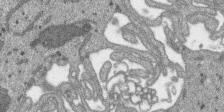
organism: Human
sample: Lung epithelial cells infected with SARS-CoV-2